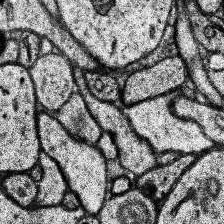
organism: Human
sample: Temporal Lobe